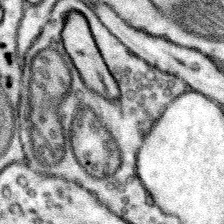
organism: Mouse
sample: Somatosensory cortex neuropil